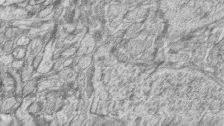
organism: Zebrafish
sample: synaptic ribbons in rod cells and cone cells